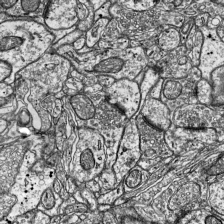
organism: Mouse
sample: Visual Cortex